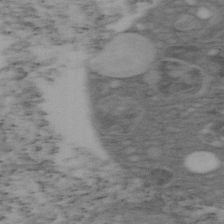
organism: Mouse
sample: OT-I killer T cells with ID8 ovarian cancer cells